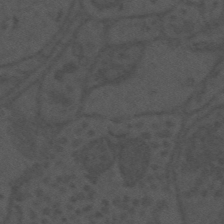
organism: Mouse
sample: Suprachiasmatic nucleus